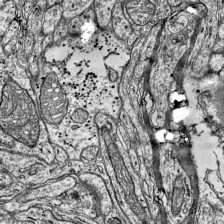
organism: Mouse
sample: Visual Cortex